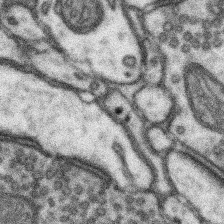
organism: Mouse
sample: Somatosensory cortex neuropil